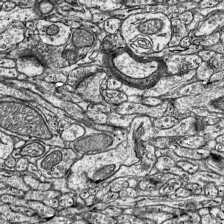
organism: Mouse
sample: Visual Cortex